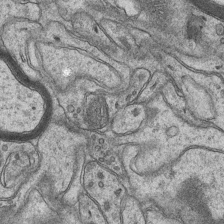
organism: Mouse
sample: CA1 Hippocampus